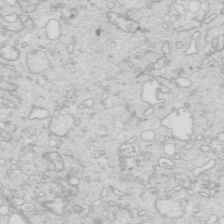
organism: Mouse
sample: Multiciliated cells